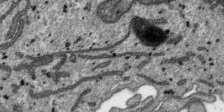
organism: Human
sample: Lung epithelial cells, uninfected (mock) control